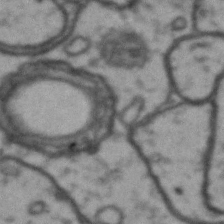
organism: Drosophila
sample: Brain